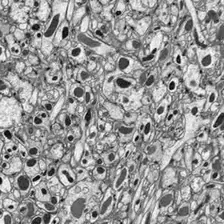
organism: Drosophila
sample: Optic lobe